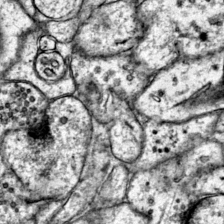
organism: Mouse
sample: Primary visual cortex